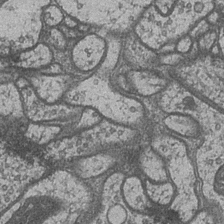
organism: Drosophila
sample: Optic medulla